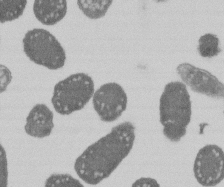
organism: E. coli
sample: Bacterial nucleoid